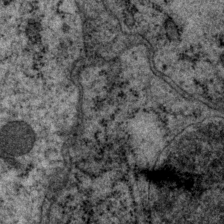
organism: P. pacificus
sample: Pharynx